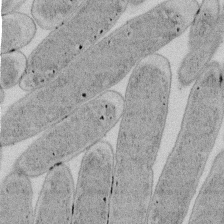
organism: E. coli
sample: Bacterial nucleoid